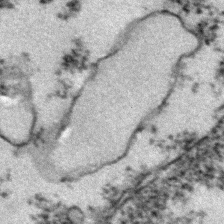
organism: Zebrafish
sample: Zebrafish embryo